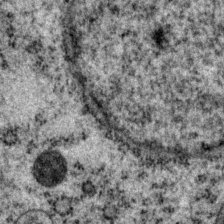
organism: P. pacificus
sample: Pharynx